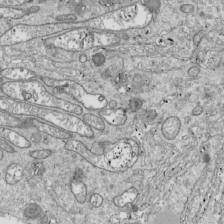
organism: Drosophila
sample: Cell division; meiosis; drosophila spermatocytes